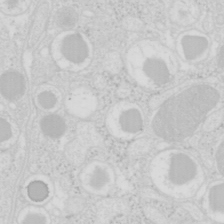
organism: Mouse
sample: Pancreas